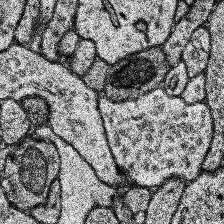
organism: Human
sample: Temporal Lobe